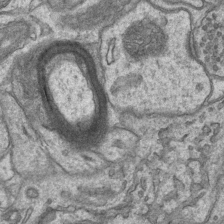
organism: Mouse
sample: CA1 Hippocampus